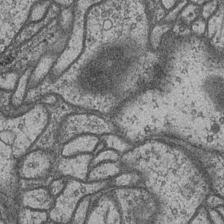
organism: Drosophila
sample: Optic medulla